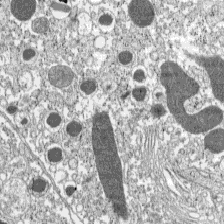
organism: C57BL Mouse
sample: Pancreatic islet